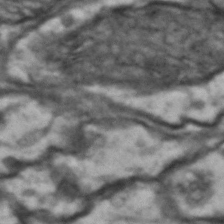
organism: Drosophila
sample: Brain